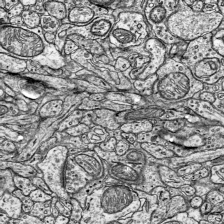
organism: Mouse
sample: Visual Cortex